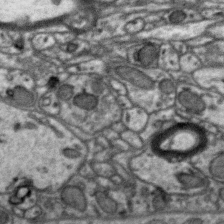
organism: Zebra finch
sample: Brain